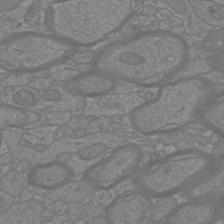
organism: Mouse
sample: Cortical neurons